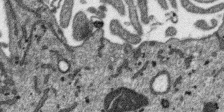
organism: Human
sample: Lung epithelial cells infected with SARS-CoV-2